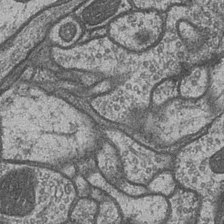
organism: Drosophila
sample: Optic medulla